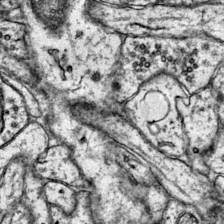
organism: Mouse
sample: Primary visual cortex